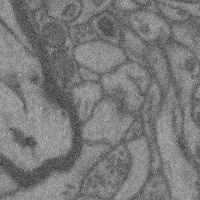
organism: Mouse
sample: Cerebral cortex